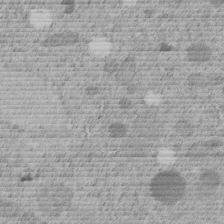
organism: C. elegans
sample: C. elegans embryo early stage